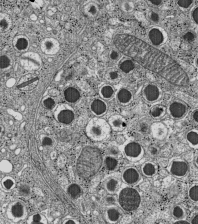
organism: C57BL Mouse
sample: Pancreatic islet